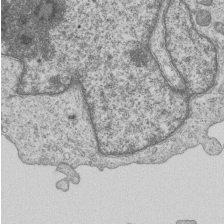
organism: Human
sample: MDA-MB-231 cells